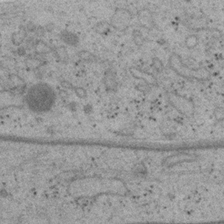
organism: Human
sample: HeLa cells